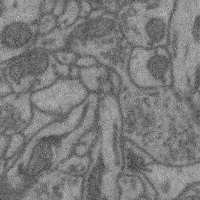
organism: Mouse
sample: Cerebral cortex